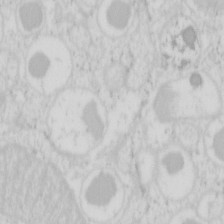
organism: Mouse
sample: Pancreas